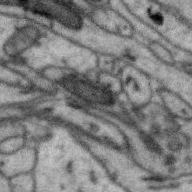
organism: Zebra finch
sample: Brain